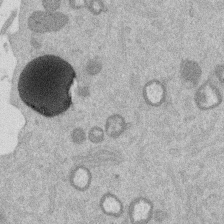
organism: Mouse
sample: Dividing mouse embryo 1 cell stage